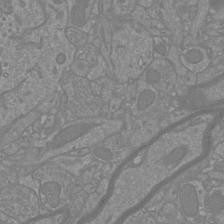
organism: Mouse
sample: Cortical neurons